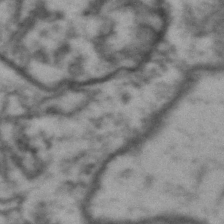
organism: Drosophila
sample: Brain